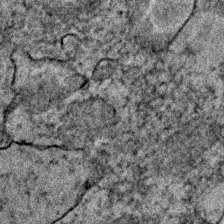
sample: Trachea